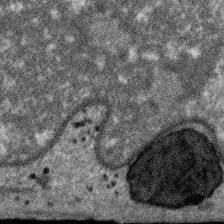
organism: Human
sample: Lung epithelial cells infected with SARS-CoV-2